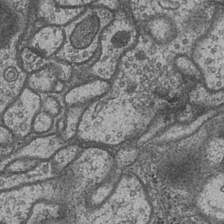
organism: Drosophila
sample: Optic medulla